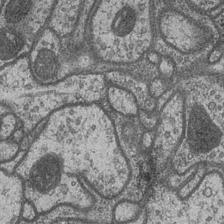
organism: Drosophila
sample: Optic medulla